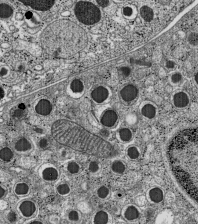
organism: C57BL Mouse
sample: Pancreatic islet